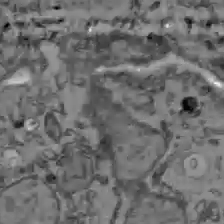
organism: C57BL Mouse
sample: Liver